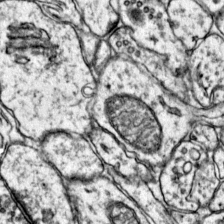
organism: Mouse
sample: Primary visual cortex